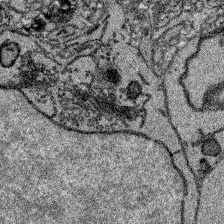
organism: Zebrafish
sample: Larval olfactory bulb